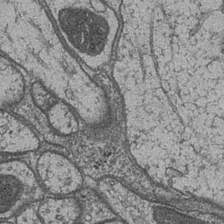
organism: Drosophila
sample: Optic medulla